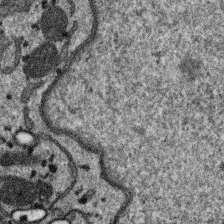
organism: Human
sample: Lung epithelial cells infected with SARS-CoV-2